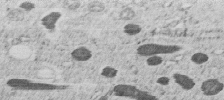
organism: C. elegans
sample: C. elegans embryo early stage